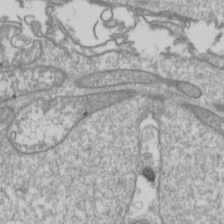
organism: Drosophila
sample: Cell division; meiosis; drosophila spermatocytes